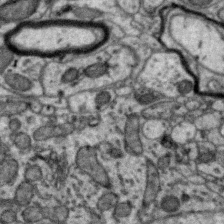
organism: Zebra finch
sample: Brain